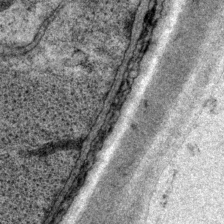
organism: P. pacificus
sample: Pharynx